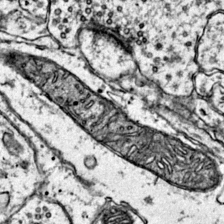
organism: Mouse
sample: Primary visual cortex